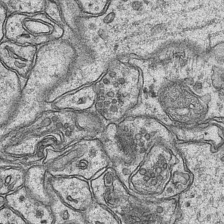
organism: Mouse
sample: CA1 Hippocampus